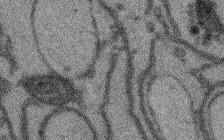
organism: Arabidopsis thaliana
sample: Root tip